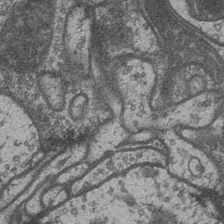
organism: Drosophila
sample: Optic medulla